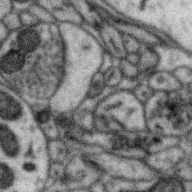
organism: Zebra finch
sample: Brain